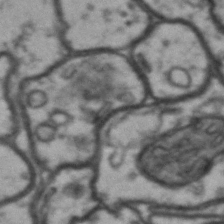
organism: Drosophila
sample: Brain